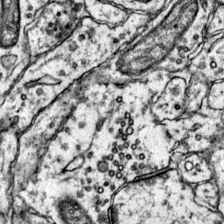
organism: Mouse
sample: Primary visual cortex